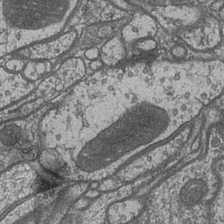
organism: Drosophila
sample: Optic medulla